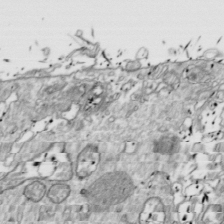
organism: Drosophila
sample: Cell division; meiosis; drosophila spermatocytes